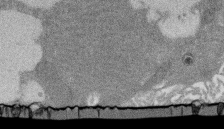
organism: Rat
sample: Salivary granule